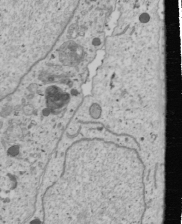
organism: Human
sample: Mitochondria in U2OS cells